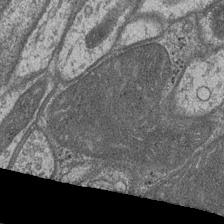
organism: Drosophila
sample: Optic medulla